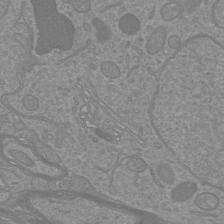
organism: Mouse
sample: Cortical neurons